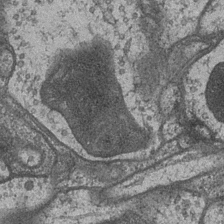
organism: Drosophila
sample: Optic medulla